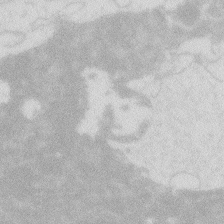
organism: Zebrafish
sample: Macrophage